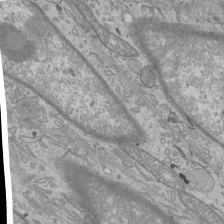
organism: Mouse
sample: Cilia; mouse epididymis